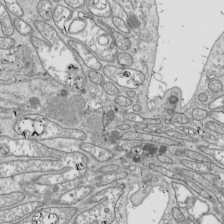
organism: Drosophila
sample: Cell division; meiosis; drosophila spermatocytes